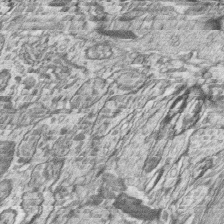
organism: Zebrafish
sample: synaptic ribbons in rod cells and cone cells